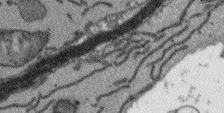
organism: Arabidopsis thaliana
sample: Root tip